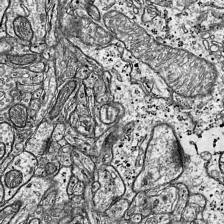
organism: Mouse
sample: Visual Cortex